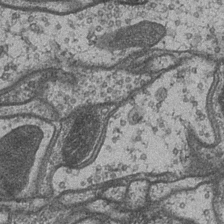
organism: Drosophila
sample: Optic medulla